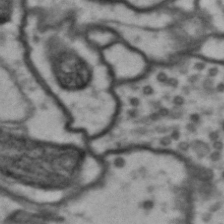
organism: Drosophila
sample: Brain